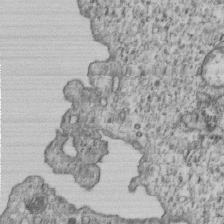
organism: Human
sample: MDA-MB-231 cells